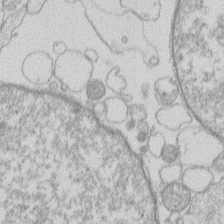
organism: Human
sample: Macrophage cells